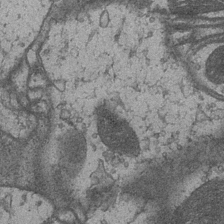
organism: Drosophila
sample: Optic medulla